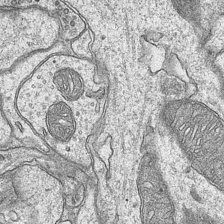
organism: Mouse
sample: CA1 Hippocampus